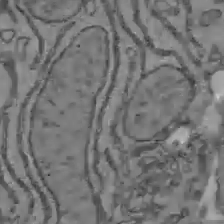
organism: C57BL Mouse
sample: Liver